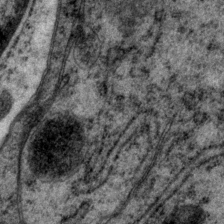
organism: P. pacificus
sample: Pharynx